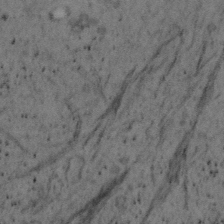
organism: Human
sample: HeLa cells